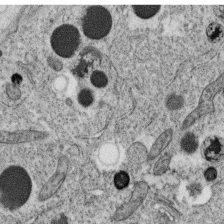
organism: C. elegans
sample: C. elegans oocyte; sperm cells